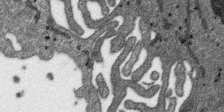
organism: Human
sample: Lung epithelial cells infected with SARS-CoV-2